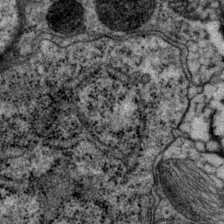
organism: P. pacificus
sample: Pharynx